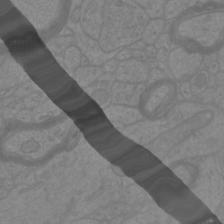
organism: Mouse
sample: Cortical neurons